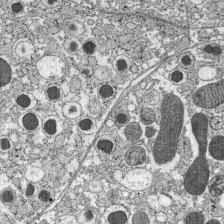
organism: C57BL Mouse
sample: Pancreatic islet